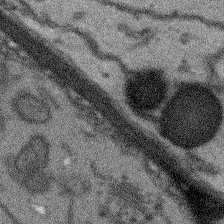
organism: Arabidopsis thaliana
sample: Root tip